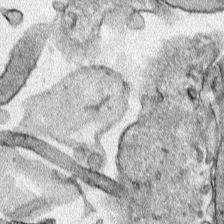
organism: Human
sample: Mitochondria in HCT116 cells